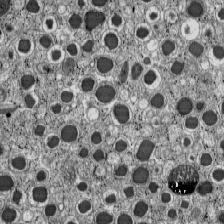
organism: C57BL Mouse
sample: Pancreatic islet